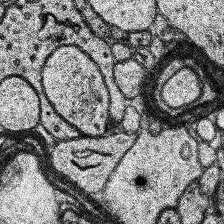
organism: Human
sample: Temporal Lobe